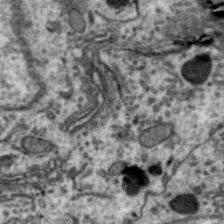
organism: Zebra finch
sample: Brain